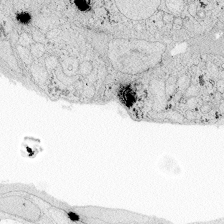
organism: Zebrafish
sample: Whole-Brain